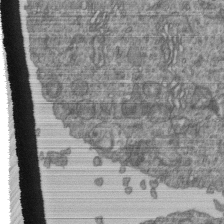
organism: Human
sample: Retinal organoid Rod and Cone cells